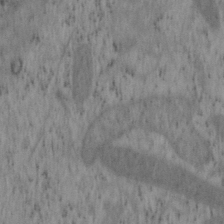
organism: Mouse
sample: OT-I killer T cells with ID8 ovarian cancer cells